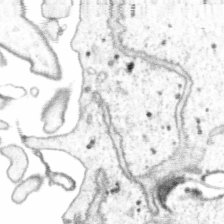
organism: Human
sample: HeLa cells